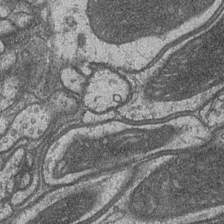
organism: Drosophila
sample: Optic medulla